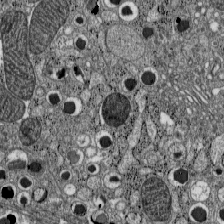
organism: C57BL Mouse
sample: Pancreatic islet